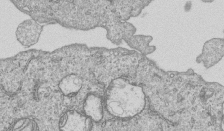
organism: Human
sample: MDA-MB-231 cells